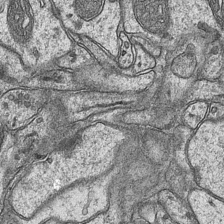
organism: Mouse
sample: CA1 Hippocampus